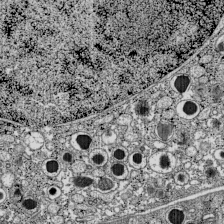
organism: C57BL Mouse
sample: Pancreatic islet